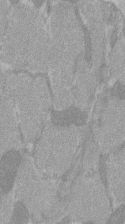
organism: C57BL Mouse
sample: Tibialis anterior muscle cell